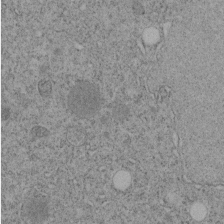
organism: C. elegans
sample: C. elegans embryo early stage